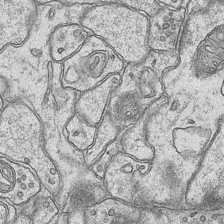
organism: Mouse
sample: CA1 Hippocampus